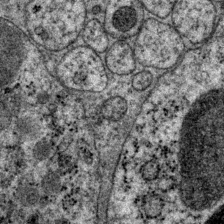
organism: P. pacificus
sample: Pharynx